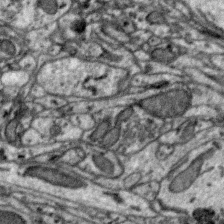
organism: Zebra finch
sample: Brain